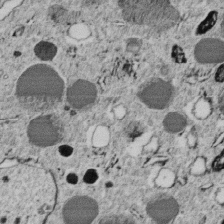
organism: C. elegans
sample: C. elegans embryo early stage